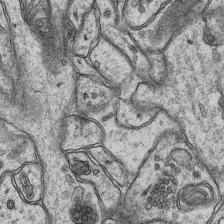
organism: Mouse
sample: CA1 Hippocampus